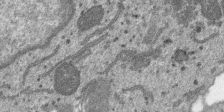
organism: Human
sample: Lung epithelial cells infected with SARS-CoV-2